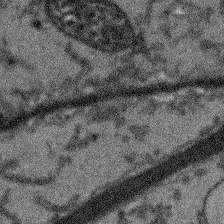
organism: Arabidopsis thaliana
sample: Root tip